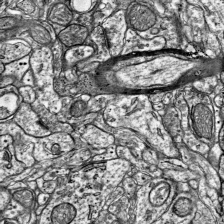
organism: Mouse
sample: Visual Cortex